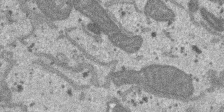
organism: Human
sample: Lung epithelial cells infected with SARS-CoV-2